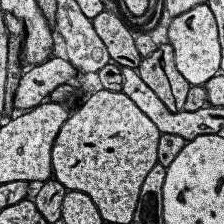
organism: Human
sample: Temporal Lobe